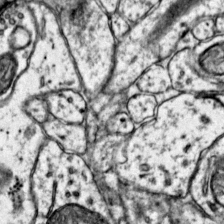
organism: Mouse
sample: Primary visual cortex